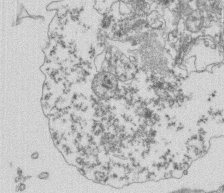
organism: Human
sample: HeLa cell HIV synapse